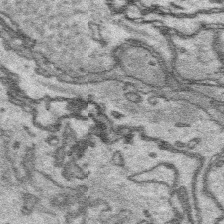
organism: Platynereis dumerilii